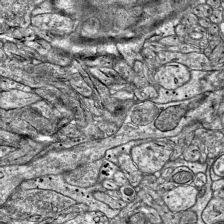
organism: Mouse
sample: Visual Cortex